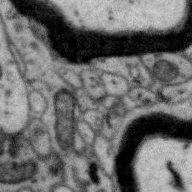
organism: Zebra finch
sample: Brain